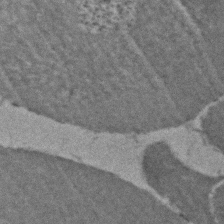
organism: Zebrafish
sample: Zebrafish embryo